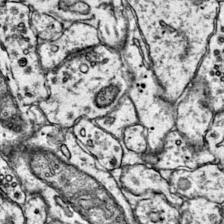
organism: Mouse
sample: Primary visual cortex